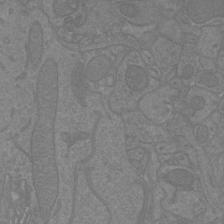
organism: Mouse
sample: Cortical neurons